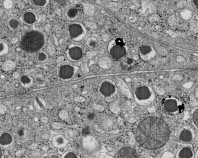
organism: C57BL Mouse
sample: Pancreatic islet